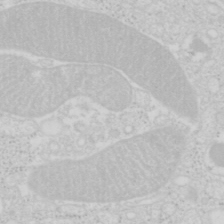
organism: Mouse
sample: Pancreas